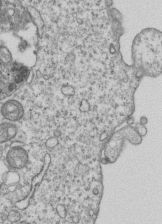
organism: Human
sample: MDA-MB-231 cells